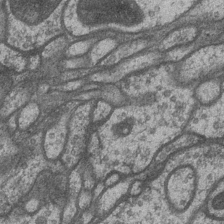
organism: Drosophila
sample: Optic medulla